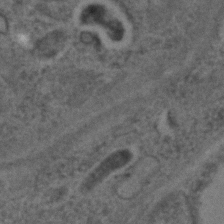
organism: C. elegans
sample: C. elegans embryo